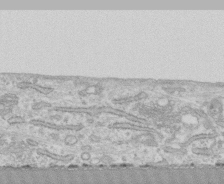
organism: Human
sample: CRL-1474